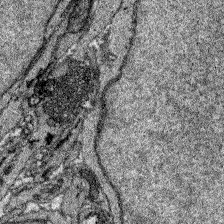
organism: Zebrafish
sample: Larval olfactory bulb